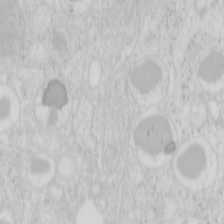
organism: Mouse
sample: Pancreas